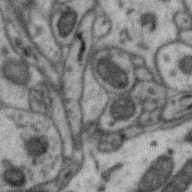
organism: Zebra finch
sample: Brain